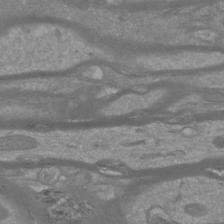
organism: Mouse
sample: Cortical neurons